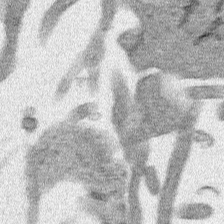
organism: Human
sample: Mitochondria in HCT116 cells